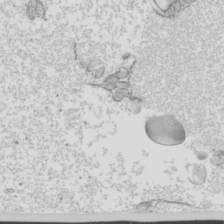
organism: Mouse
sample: Cilia; mouse epididymis